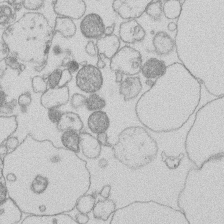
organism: Human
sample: Macrophage cells